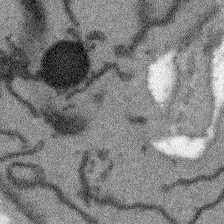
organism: Arabidopsis thaliana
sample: Root tip